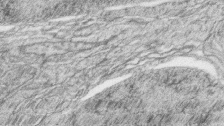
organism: Zebrafish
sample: synaptic ribbons in rod cells and cone cells